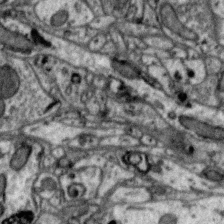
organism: Zebra finch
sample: Brain